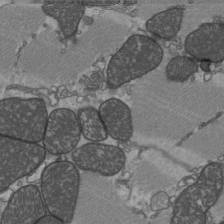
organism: C57BL Mouse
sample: Heart